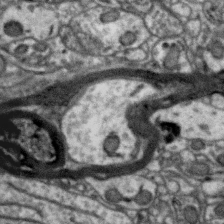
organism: Zebra finch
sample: Brain